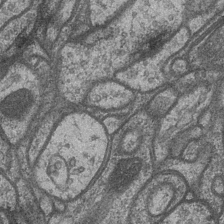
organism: Drosophila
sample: Optic medulla